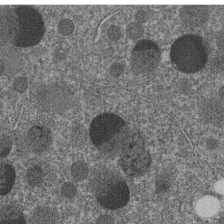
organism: C. elegans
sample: C. elegans embryo early stage